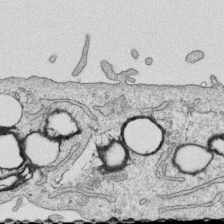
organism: Human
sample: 1205lu cells